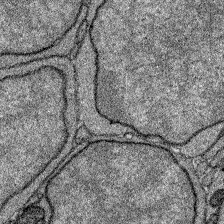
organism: Zebrafish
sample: Larval olfactory bulb